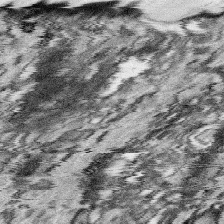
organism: Human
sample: HeLa cells